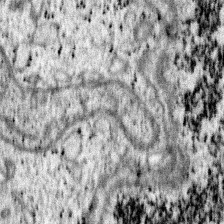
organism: Human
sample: HeLa cells